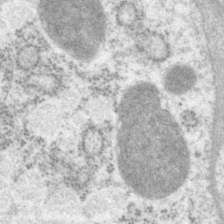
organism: P. pacificus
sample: Pharynx